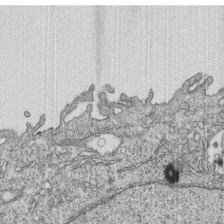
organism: Human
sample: HeLa cell HIV synapse